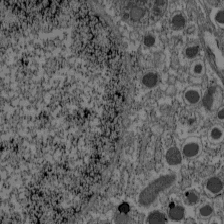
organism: C57BL Mouse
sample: Pancreatic islet